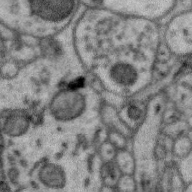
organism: Zebra finch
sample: Brain